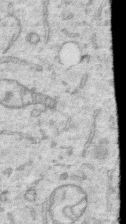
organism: Human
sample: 1205lu cells